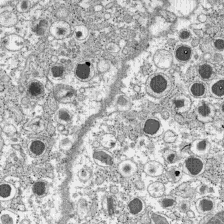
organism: C57BL Mouse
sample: Pancreatic islet